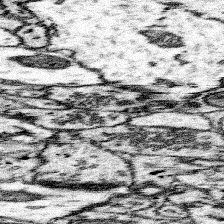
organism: Mouse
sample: Somatosensory cortex neuropil